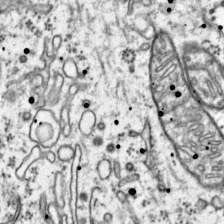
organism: Mouse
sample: Primary visual cortex